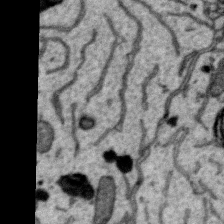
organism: Zebra finch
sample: Brain